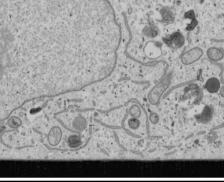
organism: Human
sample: Mitochondria in U2OS cells